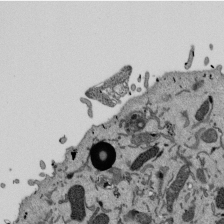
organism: Mouse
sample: ED-1 cell nuclei; centrioles